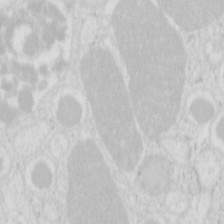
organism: Mouse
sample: Pancreas